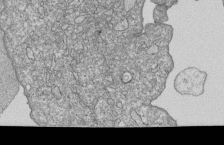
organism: Human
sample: MDA-MB-231 cells